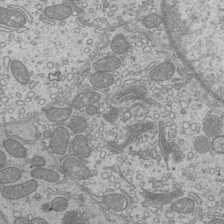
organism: Mouse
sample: Cilia; mouse epididymis